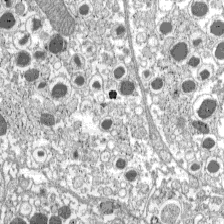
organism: C57BL Mouse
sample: Pancreatic islet